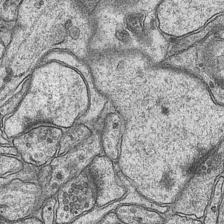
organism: Mouse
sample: CA1 Hippocampus